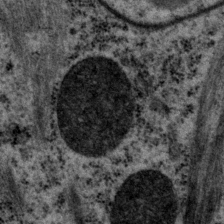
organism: P. pacificus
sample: Pharynx